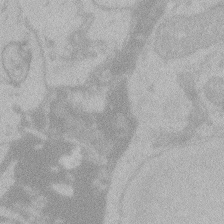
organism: Zebrafish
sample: Macrophage infected with Toxoplasma gondii